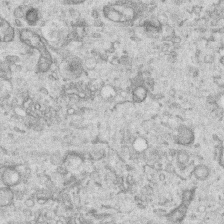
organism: Human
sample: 1205lu cells